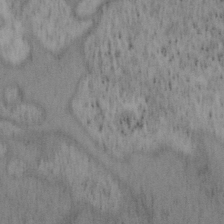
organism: Mouse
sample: OT-I killer T cells with ID8 ovarian cancer cells